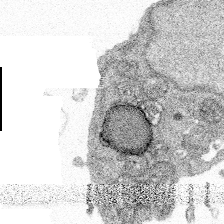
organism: Spongilla lacustris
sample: Multiple